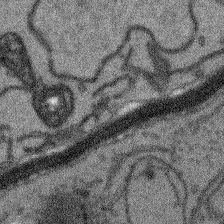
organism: Arabidopsis thaliana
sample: Root tip